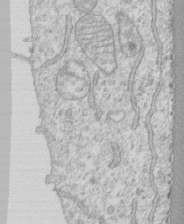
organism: Human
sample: CRL-1474